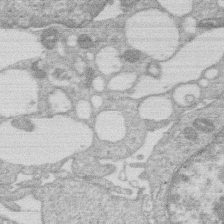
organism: Human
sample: Macrophage cells